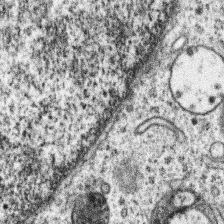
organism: Human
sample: HeLa cells